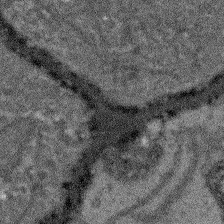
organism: Arabidopsis thaliana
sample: Root tip